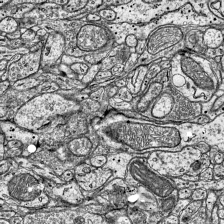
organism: Mouse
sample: Visual Cortex